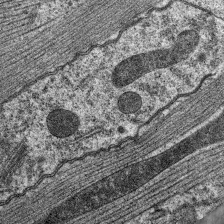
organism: C. elegans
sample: Pharynx